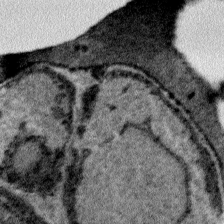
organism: Plasmodium falciparum